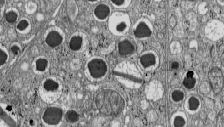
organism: C57BL Mouse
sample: Pancreatic islet